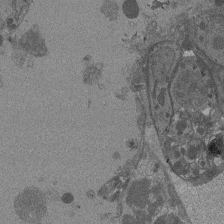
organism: Drosophila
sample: Antenna